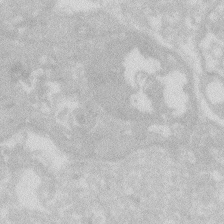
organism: Zebrafish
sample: Macrophage